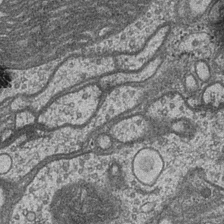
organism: Drosophila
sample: Optic medulla